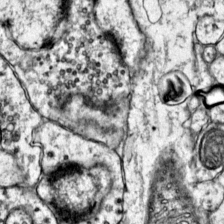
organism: Mouse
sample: Primary visual cortex